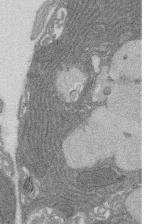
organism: Rat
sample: Salivary granule